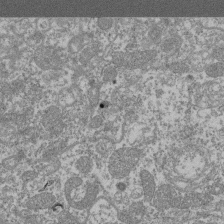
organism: Mouse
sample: Glomerulus